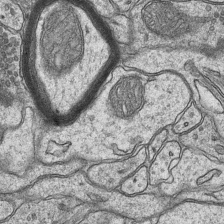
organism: Mouse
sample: CA1 Hippocampus